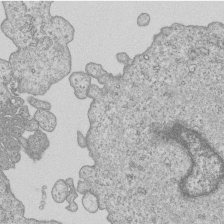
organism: Human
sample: MDA-MB-231 cells